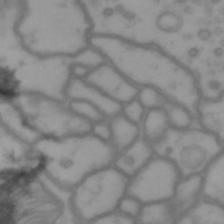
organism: Drosophila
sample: Brain